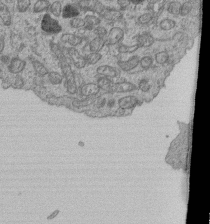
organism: Human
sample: Retinal organoid Rod and Cone cells